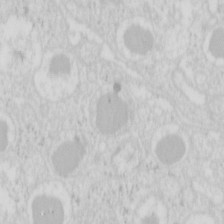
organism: Mouse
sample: Pancreas